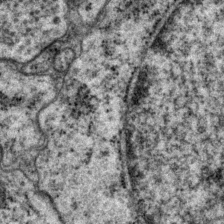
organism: P. pacificus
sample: Pharynx